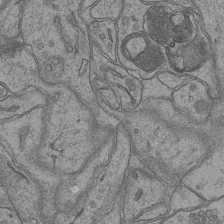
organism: Mouse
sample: CA1 Hippocampus